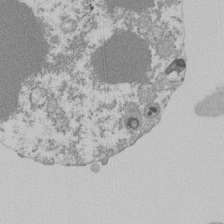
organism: Mouse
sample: Activated Pmel transgenic CD8+ T Cells